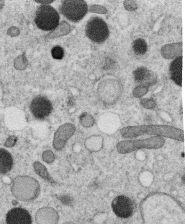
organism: C. elegans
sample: C. elegans oocyte; sperm cells